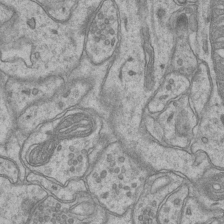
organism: Mouse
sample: CA1 Hippocampus